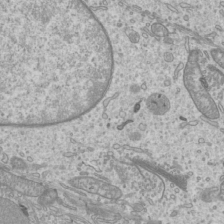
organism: Mouse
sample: Cilia; mouse epididymis